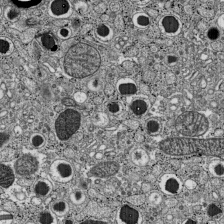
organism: C57BL Mouse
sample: Pancreatic islet